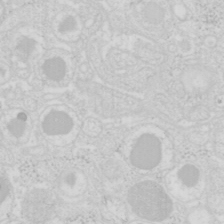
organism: Mouse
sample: Pancreas